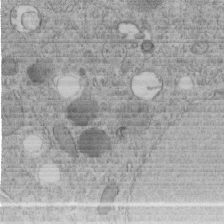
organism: C. elegans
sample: C. elegans embryo early stage